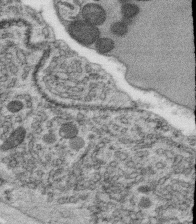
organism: C. elegans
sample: C. elegans oocyte; sperm cells